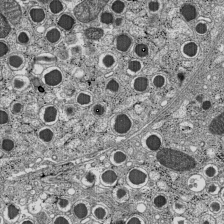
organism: C57BL Mouse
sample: Pancreatic islet